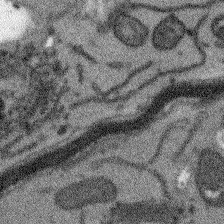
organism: Arabidopsis thaliana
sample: Root tip